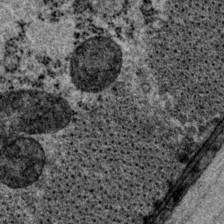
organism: P. pacificus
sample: Pharynx